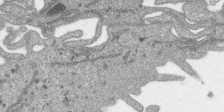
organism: Human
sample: Lung epithelial cells infected with SARS-CoV-2